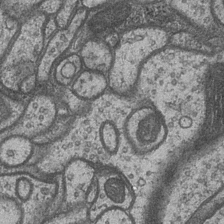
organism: Drosophila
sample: Optic medulla